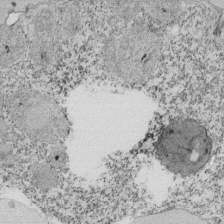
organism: Tetrahymena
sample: Cilia in tetrahymena